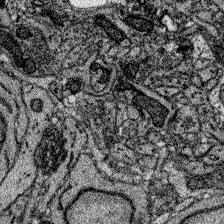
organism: Zebrafish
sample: Larval olfactory bulb